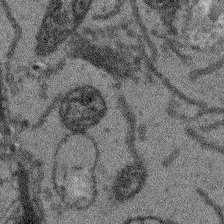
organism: Arabidopsis thaliana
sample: Root tip